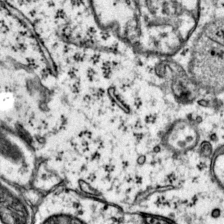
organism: Mouse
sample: Primary visual cortex